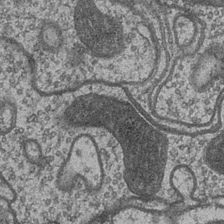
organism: Drosophila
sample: Optic medulla